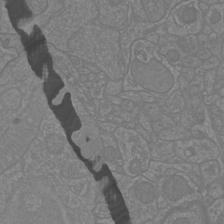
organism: Mouse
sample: Cortical neurons